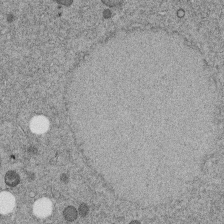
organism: C. elegans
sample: C. elegans embryo early stage